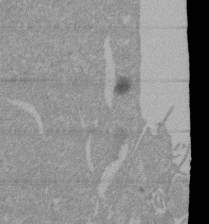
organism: Mouse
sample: ED-1 cell nuclei; centrioles